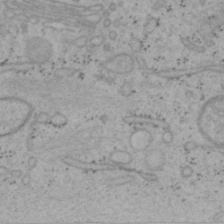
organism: Human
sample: HeLa cells